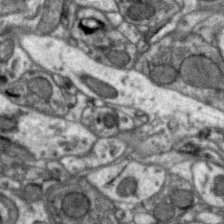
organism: Zebra finch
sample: Brain